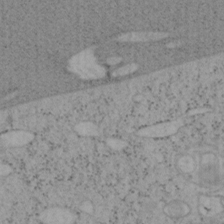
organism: Mouse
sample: OT-I killer T cells with ID8 ovarian cancer cells